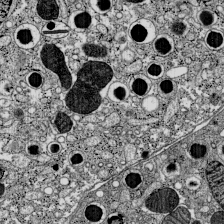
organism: C57BL Mouse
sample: Pancreatic islet